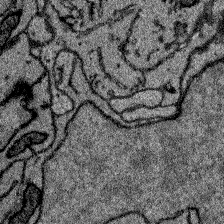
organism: Zebrafish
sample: Larval olfactory bulb